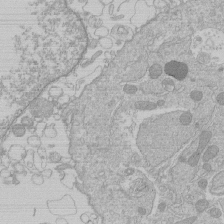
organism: Human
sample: Macrophage cells